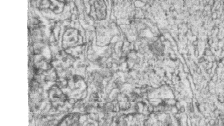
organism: Zebrafish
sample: synaptic ribbons in rod cells and cone cells